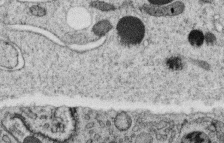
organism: C. elegans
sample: C. elegans oocyte; sperm cells